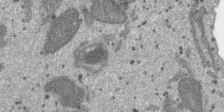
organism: Human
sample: Lung epithelial cells infected with SARS-CoV-2